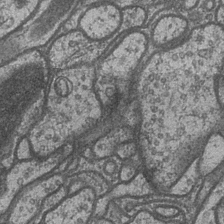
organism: Drosophila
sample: Optic medulla